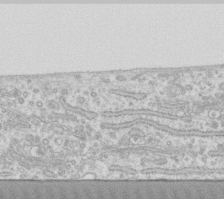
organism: Human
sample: Fibroblast cells